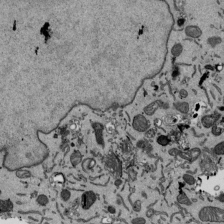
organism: Mouse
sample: ED-1 cell nuclei; centrioles